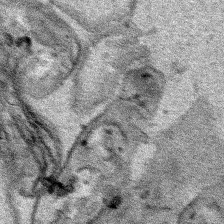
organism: Human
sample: Mitochondria in HCT116 cells